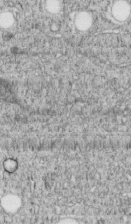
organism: C. elegans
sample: C. elegans embryo early stage